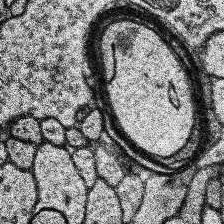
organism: Human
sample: Temporal Lobe